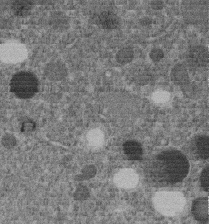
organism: C. elegans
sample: C. elegans embryo early stage